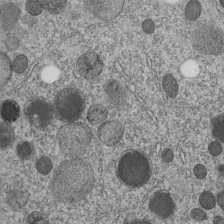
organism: C. elegans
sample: C. elegans embryo early stage